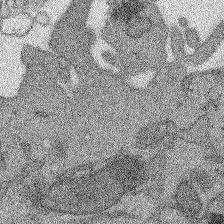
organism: Human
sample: HeLa cells